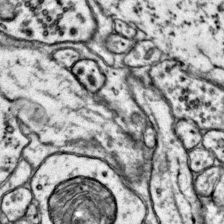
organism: Mouse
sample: Primary visual cortex